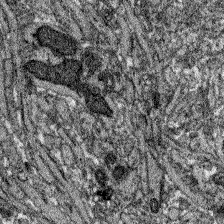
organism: Zebrafish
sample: Larval olfactory bulb